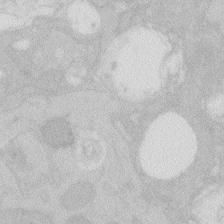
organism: Zebrafish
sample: Macrophage